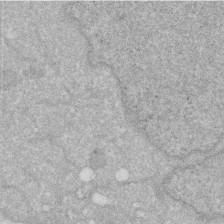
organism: Human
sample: HIV infected U937 cells